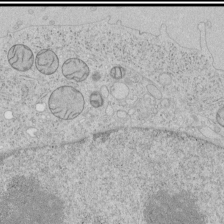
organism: Human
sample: Mitochondria in HCT116 cells